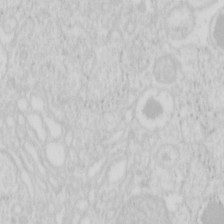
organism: Mouse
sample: Pancreas